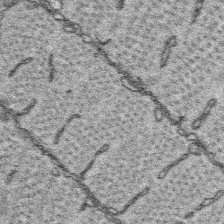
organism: Platynereis dumerilii